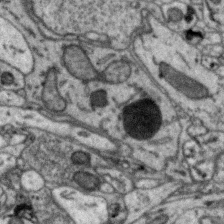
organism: Zebra finch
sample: Brain